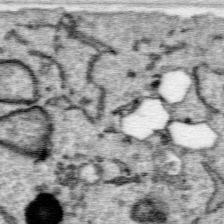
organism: Human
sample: HeLa cells